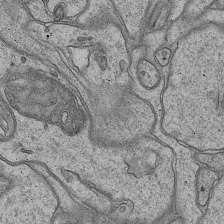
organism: Mouse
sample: CA1 Hippocampus